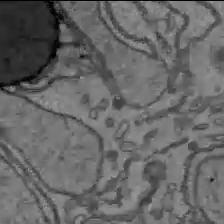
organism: C57BL Mouse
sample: Liver